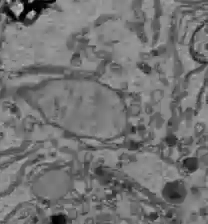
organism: C57BL Mouse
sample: Liver